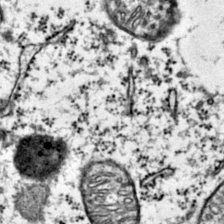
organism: Mouse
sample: Primary visual cortex